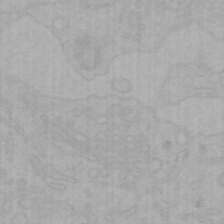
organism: Mouse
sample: Choroid plexus